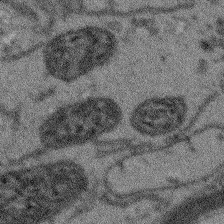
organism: Arabidopsis thaliana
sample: Root tip